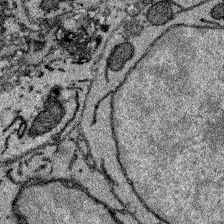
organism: Zebrafish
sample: Larval olfactory bulb